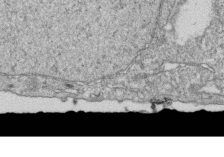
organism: Human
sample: HeLa cell HIV synapse